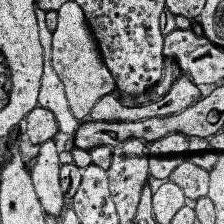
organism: Human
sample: Temporal Lobe